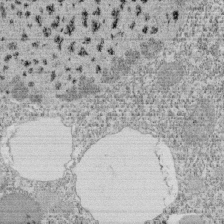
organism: Tetrahymena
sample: Cilia in tetrahymena